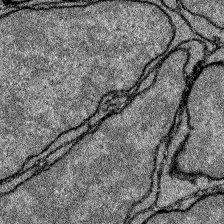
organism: Zebrafish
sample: Larval olfactory bulb